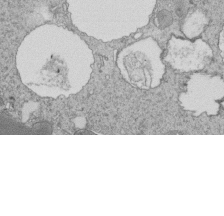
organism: Tetrahymena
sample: Cilia in tetrahymena